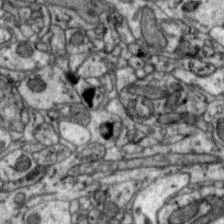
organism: Zebra finch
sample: Brain